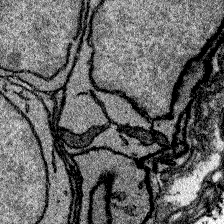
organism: Zebrafish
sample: Larval olfactory bulb